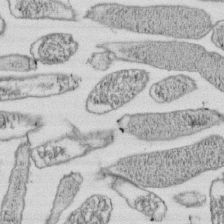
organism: E. coli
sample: Bacterial nucleoid